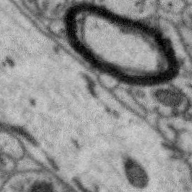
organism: Zebra finch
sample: Brain